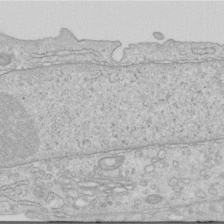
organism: Human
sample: Centriole in RPE cells